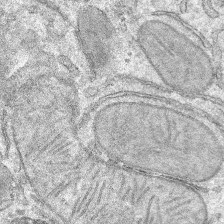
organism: Mouse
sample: Mouse hepatocytes